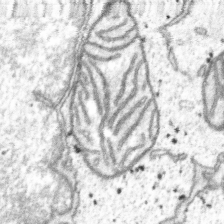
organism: Human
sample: HeLa cells